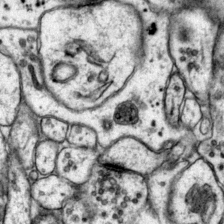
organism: Mouse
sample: Primary visual cortex